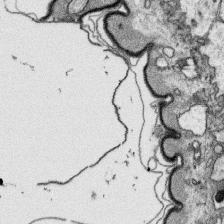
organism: Platynereis dumerilii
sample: Parapodia